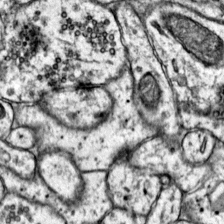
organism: Mouse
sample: Primary visual cortex